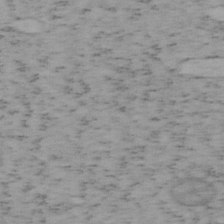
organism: Mouse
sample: OT-I killer T cells with ID8 ovarian cancer cells